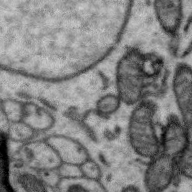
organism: Zebra finch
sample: Brain